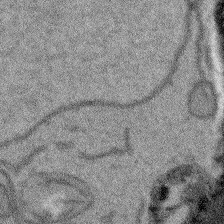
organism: Arabidopsis thaliana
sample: Root tip